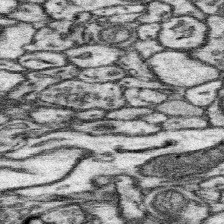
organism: Mouse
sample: Somatosensory cortex neuropil